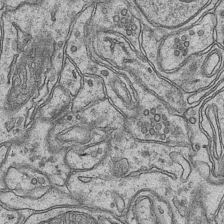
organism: Mouse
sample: CA1 Hippocampus